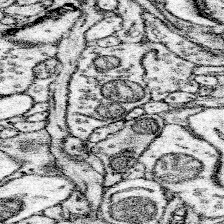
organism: Mouse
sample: Somatosensory cortex neuropil